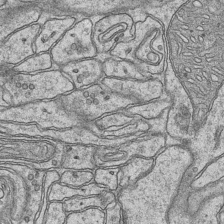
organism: Mouse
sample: CA1 Hippocampus